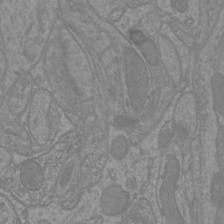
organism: Mouse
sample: Cortical neurons